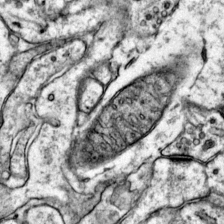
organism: Mouse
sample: Primary visual cortex